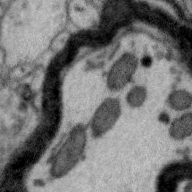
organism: Zebra finch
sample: Brain